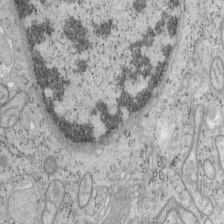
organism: Mouse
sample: OT-I killer T cells with ID8 ovarian cancer cells